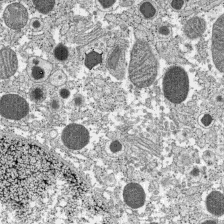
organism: C57BL Mouse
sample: Pancreatic islet